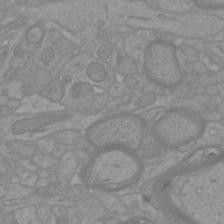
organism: Mouse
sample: Cortical neurons